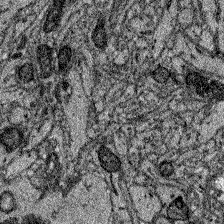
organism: Zebrafish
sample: Larval olfactory bulb